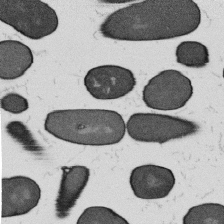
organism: B. subtilis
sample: Bacterial spore